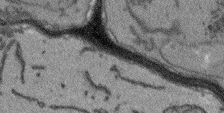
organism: Arabidopsis thaliana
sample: Root tip